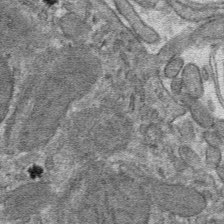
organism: Mouse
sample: Mouse hepatocytes